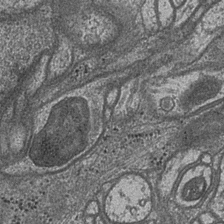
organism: Drosophila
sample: Optic medulla